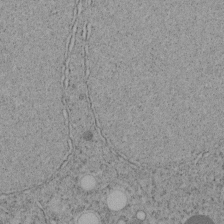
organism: C. elegans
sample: C. elegans embryo early stage